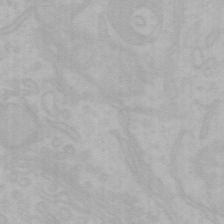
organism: Mouse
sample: Choroid plexus